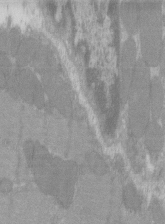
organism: C57BL Mouse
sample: Tibialis anterior muscle cell